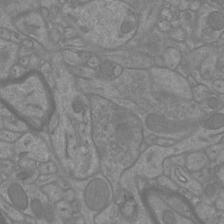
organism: Mouse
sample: Cortical neurons